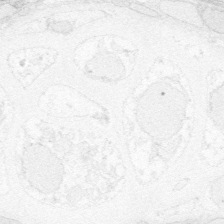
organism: Zebrafish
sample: Whole-Brain